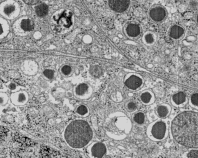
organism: C57BL Mouse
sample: Pancreatic islet